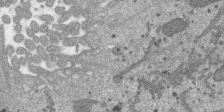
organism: Human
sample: Lung epithelial cells infected with SARS-CoV-2